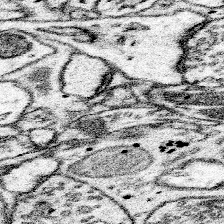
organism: Mouse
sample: Somatosensory cortex neuropil